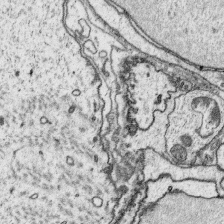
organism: Platynereis dumerilii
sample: Parapodia